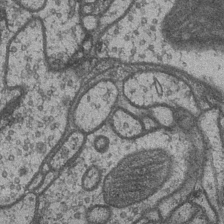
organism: Drosophila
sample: Optic medulla